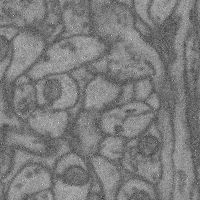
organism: Mouse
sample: Cerebral cortex